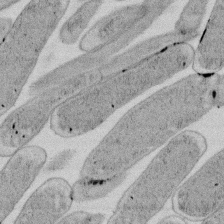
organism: E. coli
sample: Bacterial nucleoid